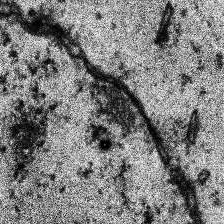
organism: Human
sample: Temporal Lobe